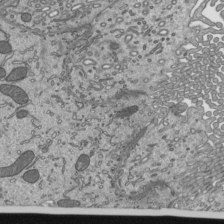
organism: Mouse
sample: Mouse epididymis efferent ductule cilia